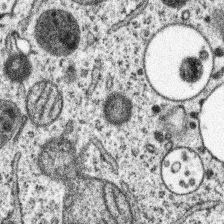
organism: Human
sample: HeLa cells